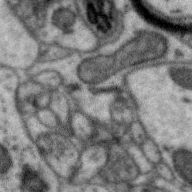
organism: Zebra finch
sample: Brain